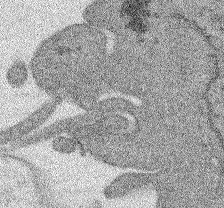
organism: Human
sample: HeLa cells